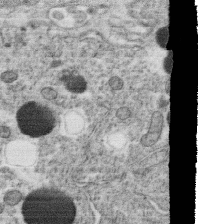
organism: C. elegans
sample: C. elegans oocyte; sperm cells